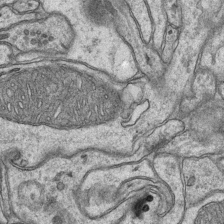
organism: Mouse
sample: CA1 Hippocampus